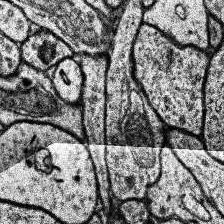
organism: Human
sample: Temporal Lobe